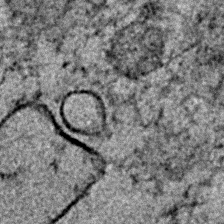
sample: Trachea